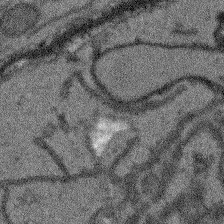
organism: Arabidopsis thaliana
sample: Root tip